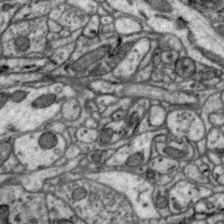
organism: Zebra finch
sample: Brain